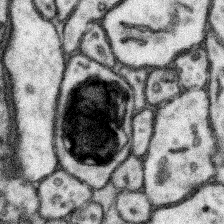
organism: Mouse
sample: Somatosensory cortex neuropil